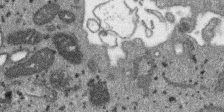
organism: Human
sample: Lung epithelial cells infected with SARS-CoV-2